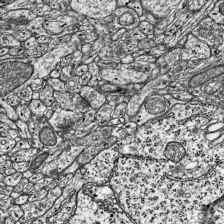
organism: Mouse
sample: Visual Cortex